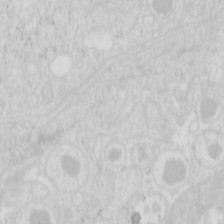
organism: Mouse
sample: Pancreas